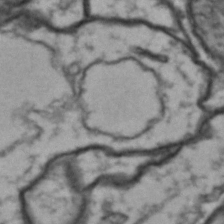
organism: Drosophila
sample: Brain